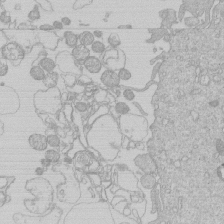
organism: Human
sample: Macrophage cells